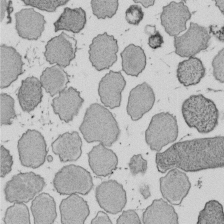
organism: E. coli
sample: Bacterial nucleoid